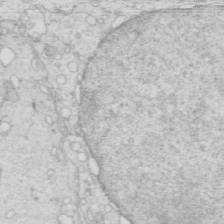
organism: Mouse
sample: Multiciliated cells